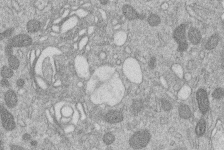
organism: Human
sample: Macrophage cells